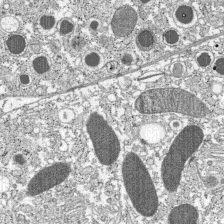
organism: C57BL Mouse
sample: Pancreatic islet